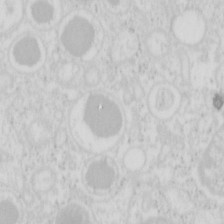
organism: Mouse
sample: Pancreas